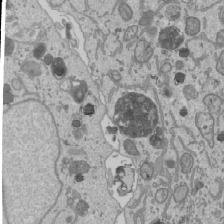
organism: Human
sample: Mitochondria in U2OS cells